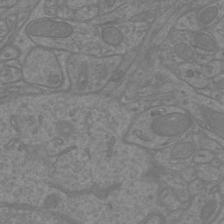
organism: Mouse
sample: Cortical neurons